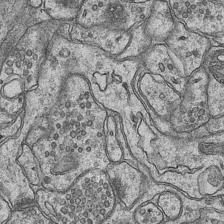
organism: Mouse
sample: CA1 Hippocampus